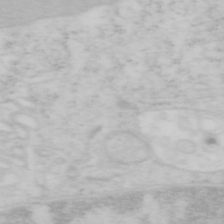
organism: Mouse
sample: OT-I killer T cells with ID8 ovarian cancer cells